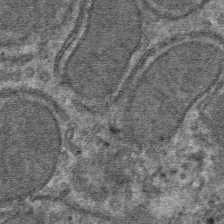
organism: Mouse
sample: Mouse hepatocytes